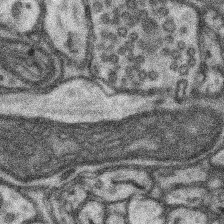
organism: Mouse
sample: Somatosensory cortex neuropil